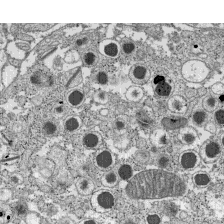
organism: C57BL Mouse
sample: Pancreatic islet